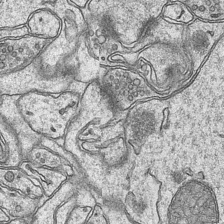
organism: Mouse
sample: CA1 Hippocampus